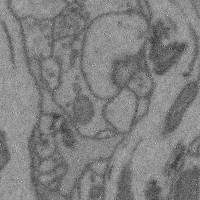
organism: Mouse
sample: Cerebral cortex